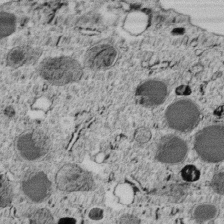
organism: C. elegans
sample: C. elegans embryo early stage